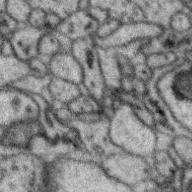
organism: Zebra finch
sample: Brain